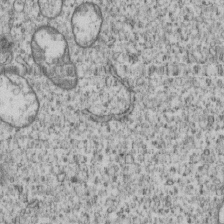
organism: Human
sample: MDA-MB-231 cells